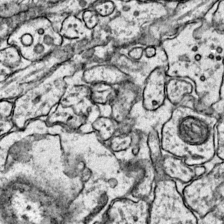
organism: Mouse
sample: Primary visual cortex